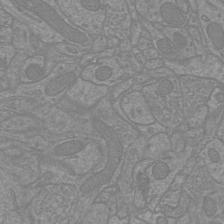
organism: Mouse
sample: Cortical neurons